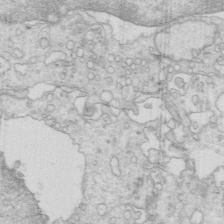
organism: Mouse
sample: Multiciliated cells